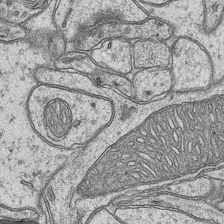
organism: Mouse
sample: CA1 Hippocampus